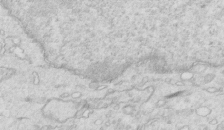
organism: Mouse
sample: Multiciliated cells